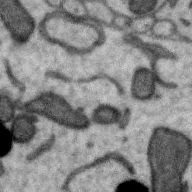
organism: Zebra finch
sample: Brain